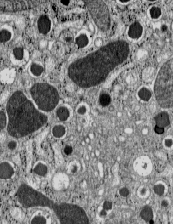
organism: C57BL Mouse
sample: Pancreatic islet